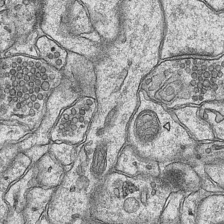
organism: Mouse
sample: CA1 Hippocampus